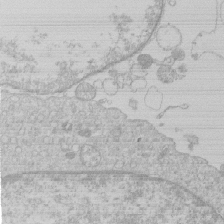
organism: Human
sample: Macrophage cells